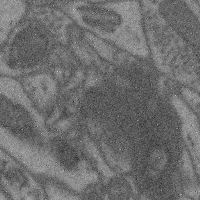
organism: Mouse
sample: Cerebral cortex